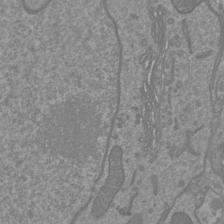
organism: Mouse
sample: Cortical neurons